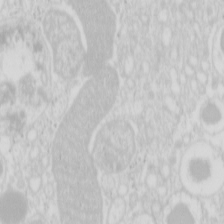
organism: Mouse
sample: Pancreas